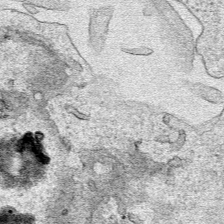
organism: Human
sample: Mitochondria in HCT116 cells